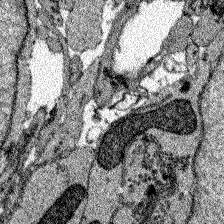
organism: Zebrafish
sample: Larval olfactory bulb